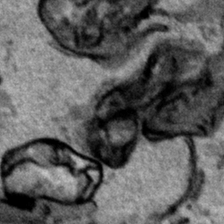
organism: Human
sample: Mitochondria in HCT116 cells